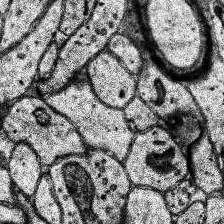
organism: Human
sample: Temporal Lobe